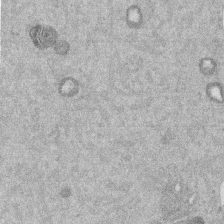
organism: Mouse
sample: Dividing mouse embryo 1 cell stage